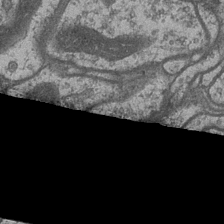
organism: Drosophila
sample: Optic medulla